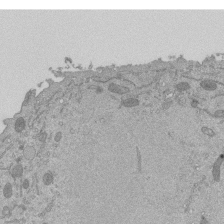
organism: Mouse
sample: ED-1 cell nuclei; centrioles